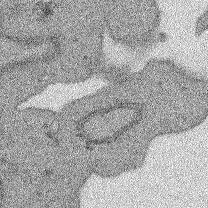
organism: Human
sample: HeLa cells